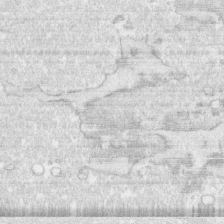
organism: Human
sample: CRL-1474